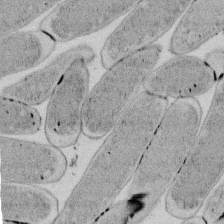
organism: E. coli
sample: Bacterial nucleoid